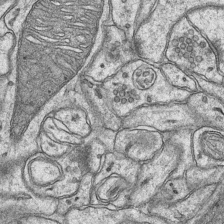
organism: Mouse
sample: CA1 Hippocampus